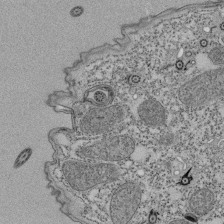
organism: Tetrahymena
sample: Cilia in tetrahymena